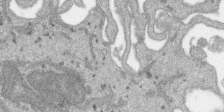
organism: Human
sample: Lung epithelial cells infected with SARS-CoV-2